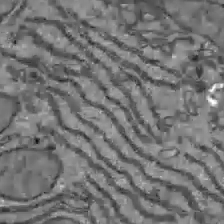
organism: C57BL Mouse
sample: Liver